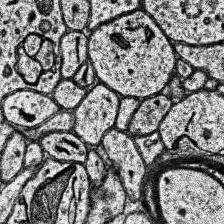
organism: Human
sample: Temporal Lobe